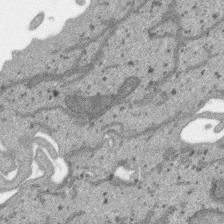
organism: Human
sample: Lung epithelial cells infected with SARS-CoV-2